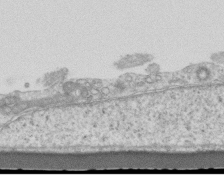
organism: Mouse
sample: Centriole in ependymal cells